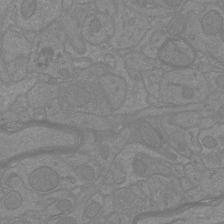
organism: Mouse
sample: Cortical neurons